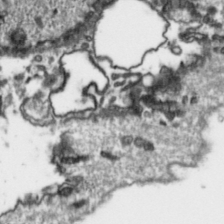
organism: Toxoplasma gondii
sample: Parasites in a vacuole inside a host cell